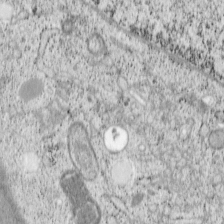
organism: African green monkey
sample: COS-7 cells